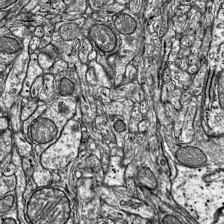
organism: Mouse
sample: Visual Cortex